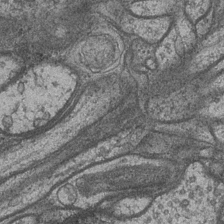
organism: Drosophila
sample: Optic medulla